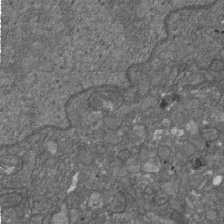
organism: Drosophila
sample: Nephrocyte